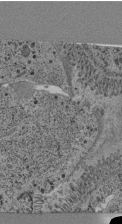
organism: C. elegans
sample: C. elegans pharynx